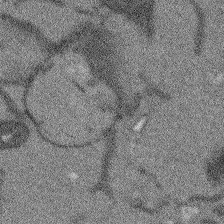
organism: Arabidopsis thaliana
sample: Root tip